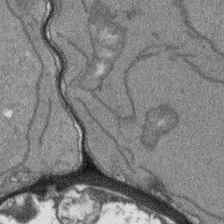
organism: Arabidopsis thaliana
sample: Root tip